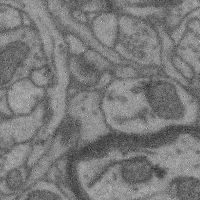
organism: Mouse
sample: Cerebral cortex